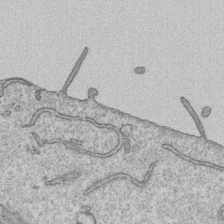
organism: Human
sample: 1205lu cells